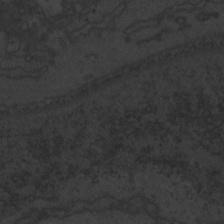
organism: Zebrafish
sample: Macrophage infected with Toxoplasma gondii